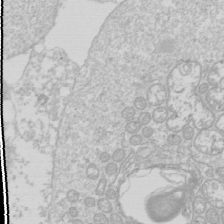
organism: Drosophila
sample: Cell division; meiosis; drosophila spermatocytes